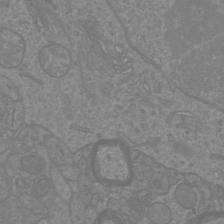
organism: Mouse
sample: Cortical neurons